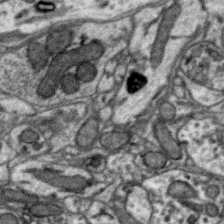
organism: Zebra finch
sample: Brain